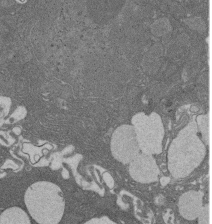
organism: Rat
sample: Salivary granule